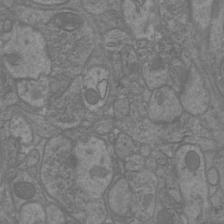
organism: Mouse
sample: Cortical neurons